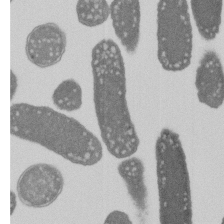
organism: E. coli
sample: Bacterial nucleoid